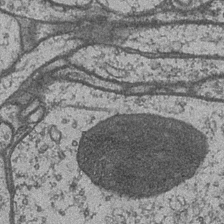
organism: Drosophila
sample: Optic medulla